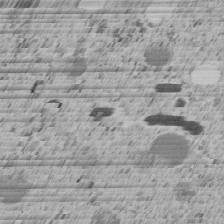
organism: C. elegans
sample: C. elegans embryo early stage